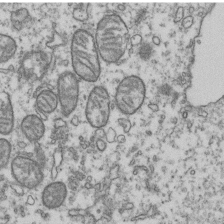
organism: Human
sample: Activated Jurkat CD4+ T cells